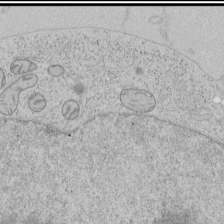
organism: Human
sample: Mitochondria in HCT116 cells